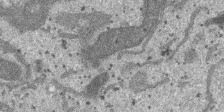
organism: Human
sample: Lung epithelial cells infected with SARS-CoV-2